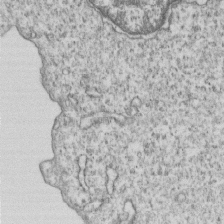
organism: Human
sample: MDA-MB-231 cells